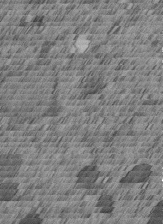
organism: C. elegans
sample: C. elegans embryo early stage